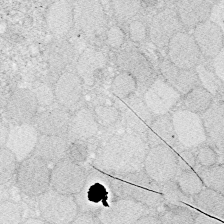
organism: Zebrafish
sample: Whole-Brain